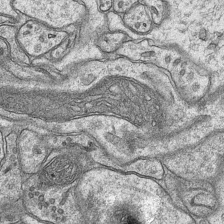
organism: Mouse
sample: CA1 Hippocampus